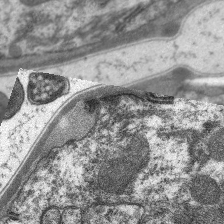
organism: C. elegans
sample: Pharynx